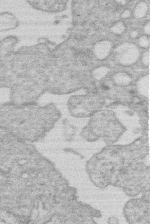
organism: Human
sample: Macrophage cells